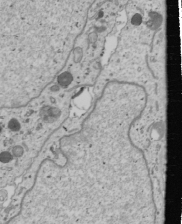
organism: Human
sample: Mitochondria in U2OS cells